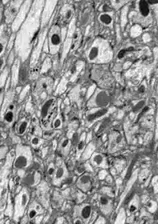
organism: Drosophila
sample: Optic lobe